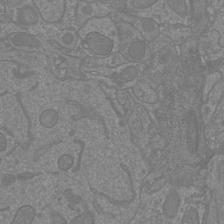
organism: Mouse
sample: Cortical neurons